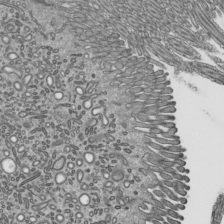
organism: Mouse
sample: Mouse epididymis efferent ductule cilia